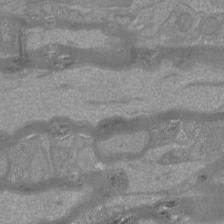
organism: Mouse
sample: Cortical neurons